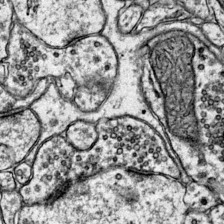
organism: Mouse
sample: Primary visual cortex